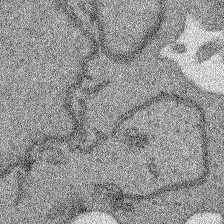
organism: Human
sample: HeLa cells